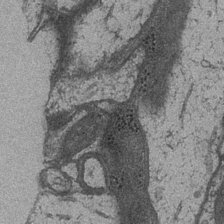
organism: Drosophila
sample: Optic medulla